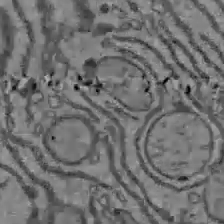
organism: C57BL Mouse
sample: Liver